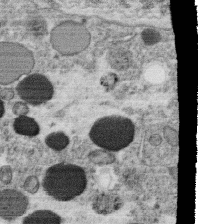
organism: C. elegans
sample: C. elegans oocyte; sperm cells